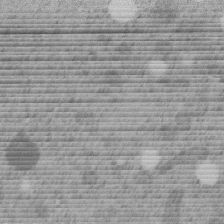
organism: C. elegans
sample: C. elegans embryo early stage